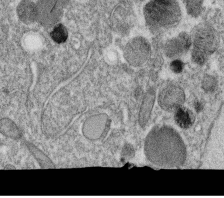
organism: C. elegans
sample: C. elegans oocyte; sperm cells